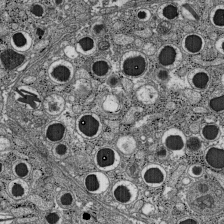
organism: C57BL Mouse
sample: Pancreatic islet